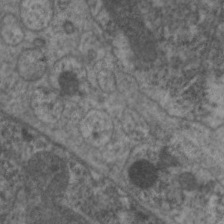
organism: C. elegans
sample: Pharynx